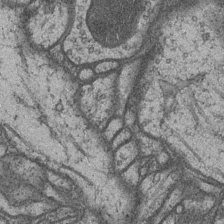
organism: Drosophila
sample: Optic medulla